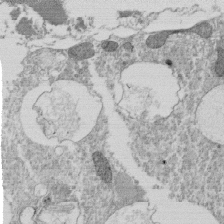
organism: Tetrahymena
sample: Cilia in tetrahymena